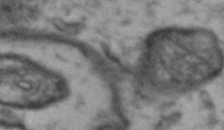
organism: Drosophila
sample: Brain